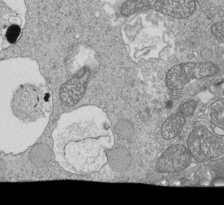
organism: Tetrahymena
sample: Cilia in tetrahymena